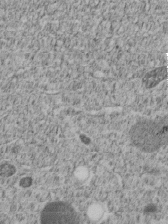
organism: C. elegans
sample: C. elegans embryo early stage